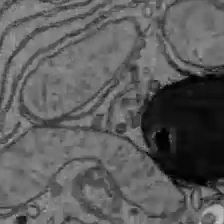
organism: C57BL Mouse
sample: Liver